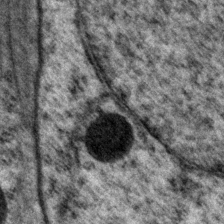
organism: P. pacificus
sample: Pharynx